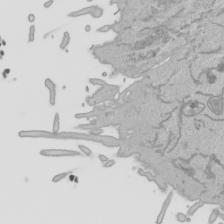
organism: Human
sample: Mitochondria in HCT116 cells